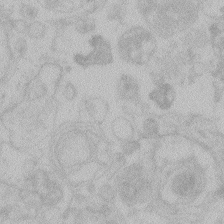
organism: Zebrafish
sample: Macrophage infected with Toxoplasma gondii